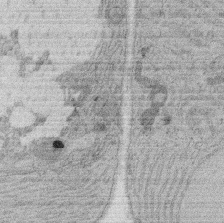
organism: Rat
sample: Salivary granule